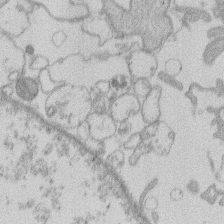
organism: Human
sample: Macrophage cells